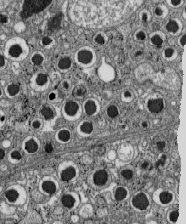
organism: C57BL Mouse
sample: Pancreatic islet